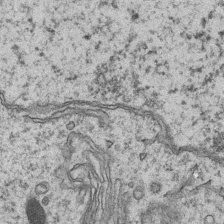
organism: Mouse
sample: CA1 Hippocampus